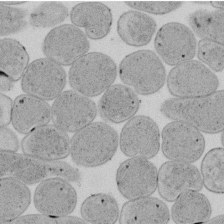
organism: E. coli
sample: Bacterial nucleoid